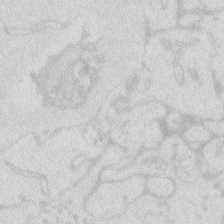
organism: Zebrafish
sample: Macrophage